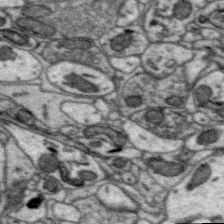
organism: Zebra finch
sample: Brain